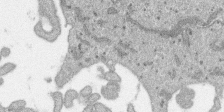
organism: Human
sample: Lung epithelial cells infected with SARS-CoV-2